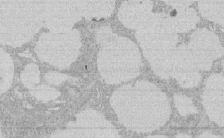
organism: Rat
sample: Salivary granule